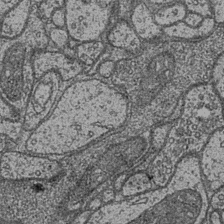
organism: Drosophila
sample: Optic medulla